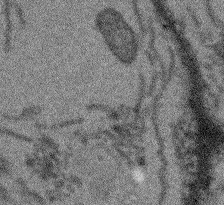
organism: Arabidopsis thaliana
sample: Root tip